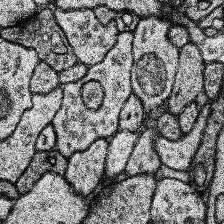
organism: Human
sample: Temporal Lobe